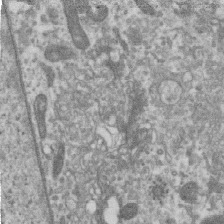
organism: Human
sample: Centriole in RPE cells